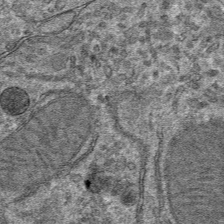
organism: Mouse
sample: Mouse hepatocytes